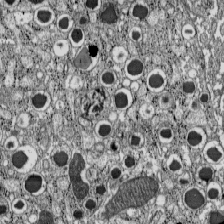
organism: C57BL Mouse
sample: Pancreatic islet